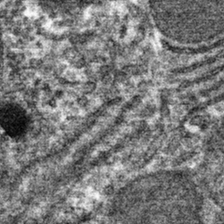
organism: Mouse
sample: Mouse hepatocytes